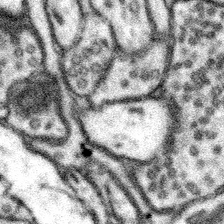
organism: Mouse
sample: Somatosensory cortex neuropil